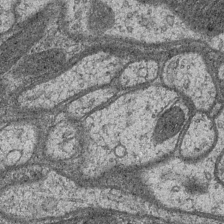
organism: Drosophila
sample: Optic medulla